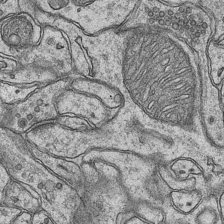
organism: Mouse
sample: CA1 Hippocampus